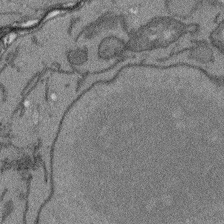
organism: Arabidopsis thaliana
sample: Root tip